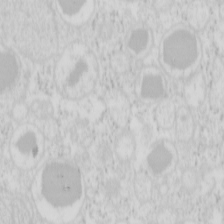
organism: Mouse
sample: Pancreas